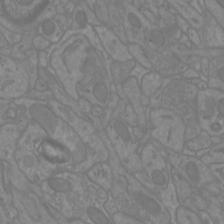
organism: Mouse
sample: Cortical neurons